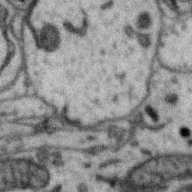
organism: Zebra finch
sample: Brain